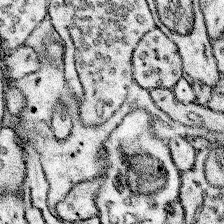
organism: Mouse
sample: Somatosensory cortex neuropil